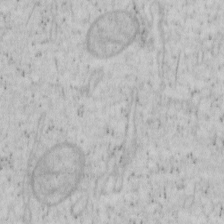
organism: Human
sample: HeLa cells